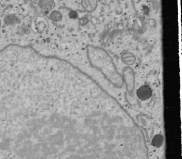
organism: Human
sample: Mitochondria in U2OS cells